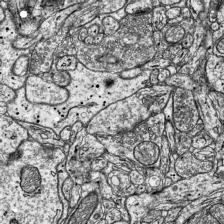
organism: Mouse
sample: Visual Cortex